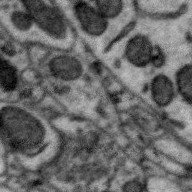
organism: Zebra finch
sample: Brain